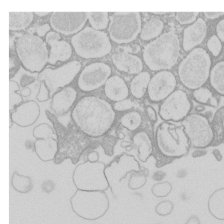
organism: Xenopus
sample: Cilia; centrioles in frog embryo cells